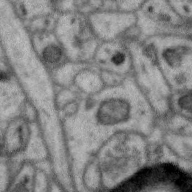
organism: Zebra finch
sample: Brain